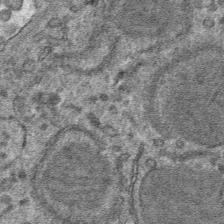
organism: Mouse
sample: Mouse hepatocytes